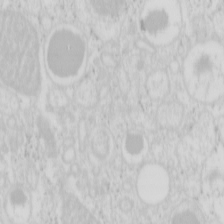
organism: Mouse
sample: Pancreas